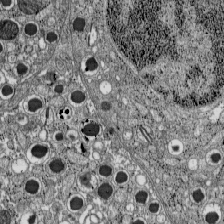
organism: C57BL Mouse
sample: Pancreatic islet